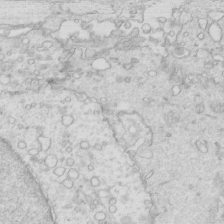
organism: Mouse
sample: Multiciliated cells